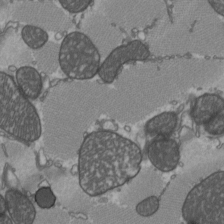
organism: C57BL Mouse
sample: Heart